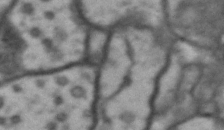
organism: Drosophila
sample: Brain